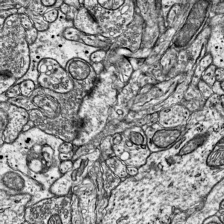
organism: Mouse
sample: Visual Cortex